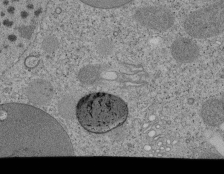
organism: Tetrahymena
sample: Cilia in tetrahymena